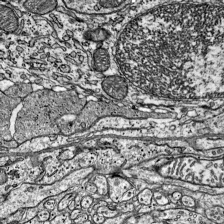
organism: Mouse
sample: Visual Cortex